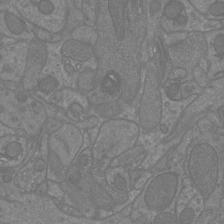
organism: Mouse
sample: Cortical neurons